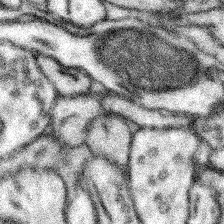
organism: Mouse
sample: Somatosensory cortex neuropil